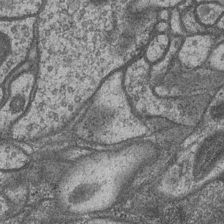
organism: Drosophila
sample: Optic medulla